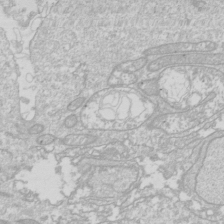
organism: Drosophila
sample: Cell division; meiosis; drosophila spermatocytes